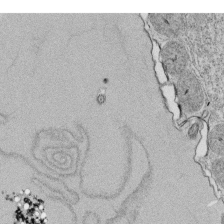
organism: Tetrahymena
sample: Cilia in tetrahymena